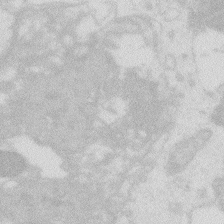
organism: Zebrafish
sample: Macrophage